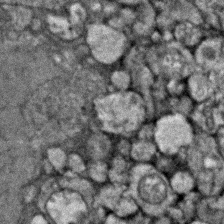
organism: Zebrafish